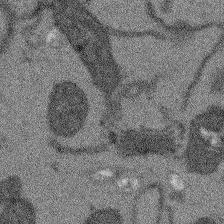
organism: Arabidopsis thaliana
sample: Root tip